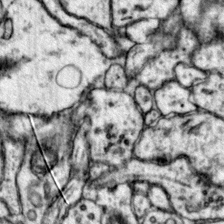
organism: Mouse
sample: Primary visual cortex